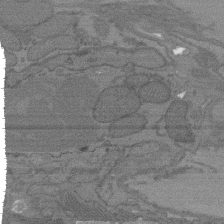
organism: C. elegans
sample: AFD neurons C. elegans